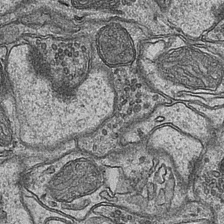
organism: Mouse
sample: CA1 Hippocampus